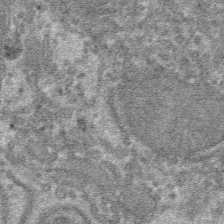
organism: Mouse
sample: Mouse hepatocytes